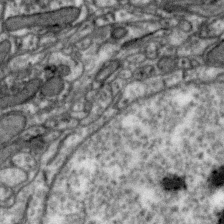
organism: Zebra finch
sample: Brain